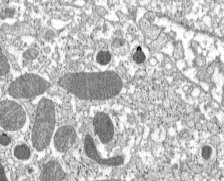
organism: C57BL Mouse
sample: Pancreatic islet